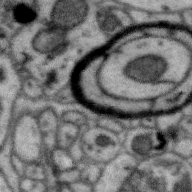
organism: Zebra finch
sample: Brain